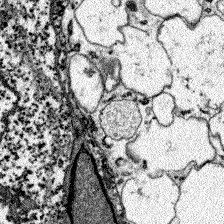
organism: Zebrafish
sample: Larval olfactory bulb